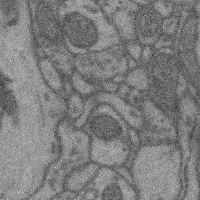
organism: Mouse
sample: Cerebral cortex